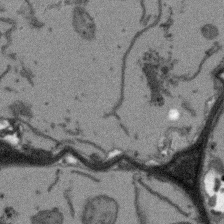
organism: Arabidopsis thaliana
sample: Root tip